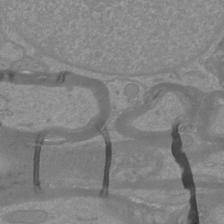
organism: Mouse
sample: Cortical neurons